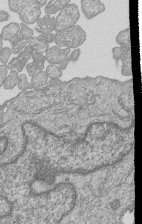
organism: Human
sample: MDA-MB-231 cells